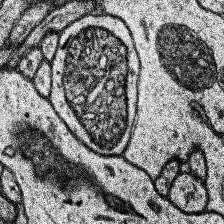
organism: Human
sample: Temporal Lobe